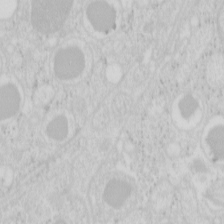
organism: Mouse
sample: Pancreas